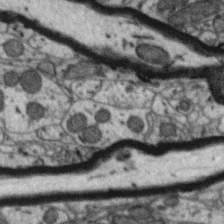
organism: Zebra finch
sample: Brain